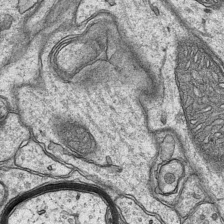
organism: Mouse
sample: CA1 Hippocampus